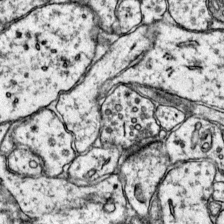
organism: Mouse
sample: Primary visual cortex